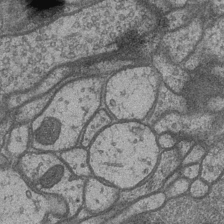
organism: Drosophila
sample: Optic medulla